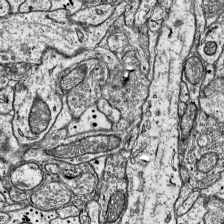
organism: Mouse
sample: Visual Cortex